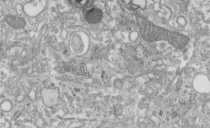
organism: Human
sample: Centriole in fibroblast cells